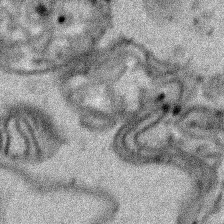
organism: Human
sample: Mitochondria in HCT116 cells